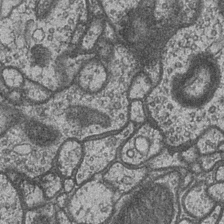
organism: Drosophila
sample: Optic medulla